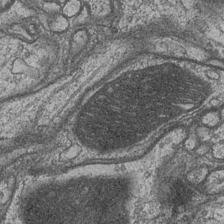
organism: Drosophila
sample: Optic medulla